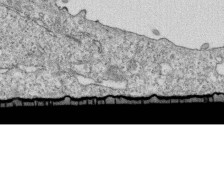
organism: Human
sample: HeLa cell HIV synapse